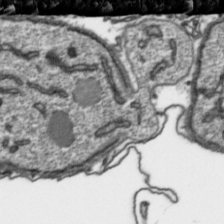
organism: Toxoplasma gondii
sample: Parasites in a vacuole inside a host cell